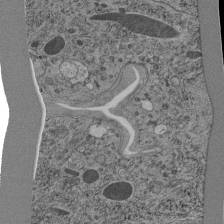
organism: C. elegans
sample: C. elegans pharynx